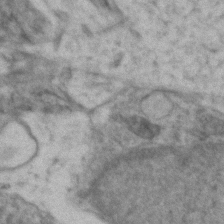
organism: Zebrafish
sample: Zebrafish embryo